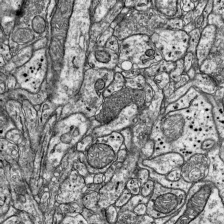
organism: Mouse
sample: Visual Cortex